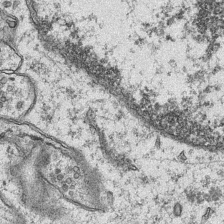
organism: Mouse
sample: CA1 Hippocampus